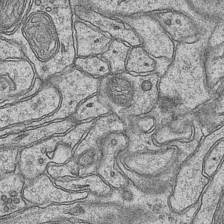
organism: Mouse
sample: CA1 Hippocampus